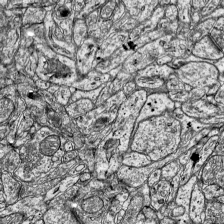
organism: Mouse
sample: Visual Cortex